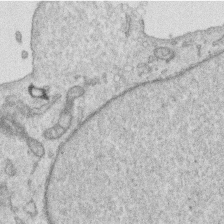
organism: Human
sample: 1205lu cells